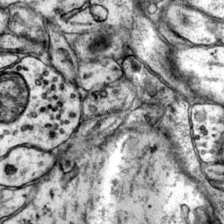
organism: Mouse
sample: Primary visual cortex